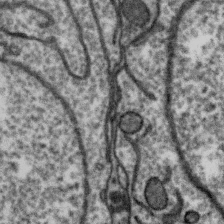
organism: Zebra finch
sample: Brain